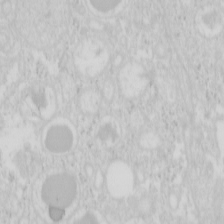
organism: Mouse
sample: Pancreas